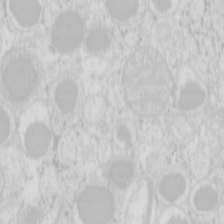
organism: Mouse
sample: Pancreas